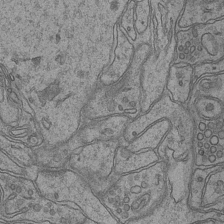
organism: Mouse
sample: CA1 Hippocampus